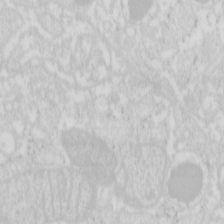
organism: Mouse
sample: Pancreas